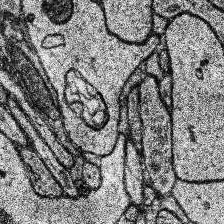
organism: Human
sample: Temporal Lobe